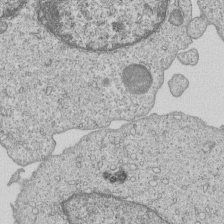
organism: Human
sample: MDA-MB-231 cells